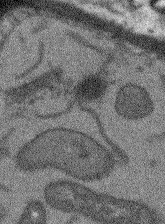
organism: Arabidopsis thaliana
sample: Root tip